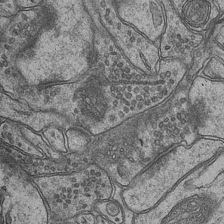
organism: Mouse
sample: CA1 Hippocampus